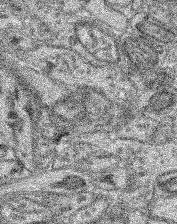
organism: Mouse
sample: Retina